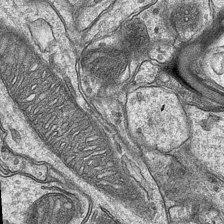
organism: Mouse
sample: CA1 Hippocampus